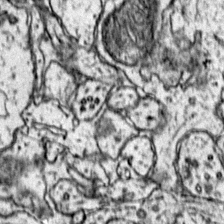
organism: Mouse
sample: Primary visual cortex